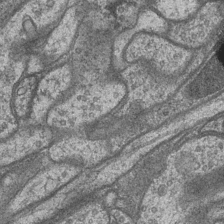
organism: Drosophila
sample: Optic medulla